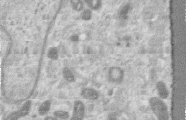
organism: Human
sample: Centriole in RPE cells